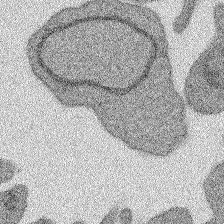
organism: Human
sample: HeLa cells